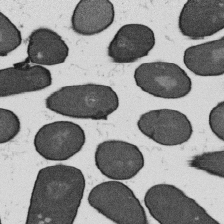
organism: B. subtilis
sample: Bacterial spore